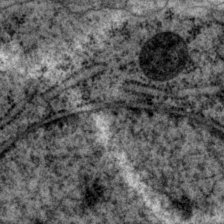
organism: P. pacificus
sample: Pharynx